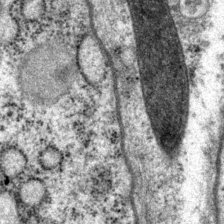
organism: P. pacificus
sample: Pharynx